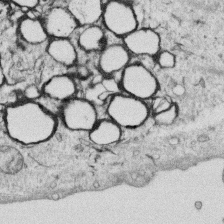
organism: Human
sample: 1205lu cells